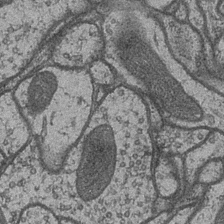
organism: Drosophila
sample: Optic medulla